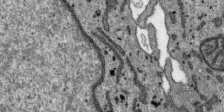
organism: Human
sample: Lung epithelial cells, uninfected (mock) control